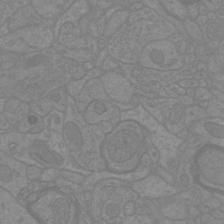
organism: Mouse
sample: Cortical neurons